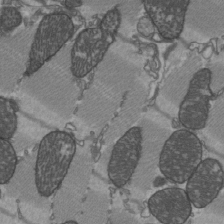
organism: C57BL Mouse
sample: Heart